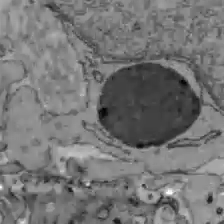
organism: C57BL Mouse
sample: Liver